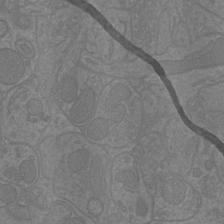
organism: Mouse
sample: Cortical neurons